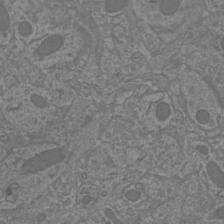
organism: Mouse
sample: Cortical neurons